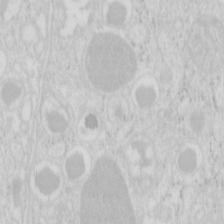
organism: Mouse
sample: Pancreas